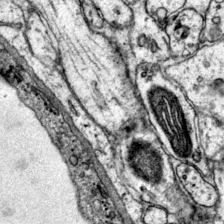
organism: Mouse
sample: Primary visual cortex